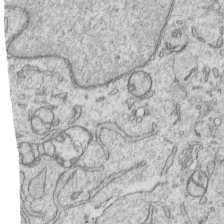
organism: Human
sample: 1205lu cells